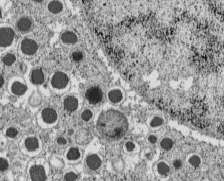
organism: C57BL Mouse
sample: Pancreatic islet